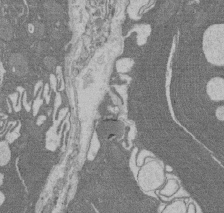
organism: Rat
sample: Salivary granule